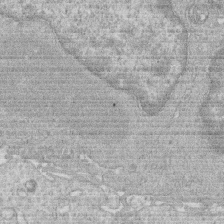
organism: Human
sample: Macrophage cells